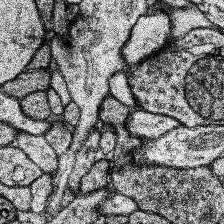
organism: Human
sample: Temporal Lobe